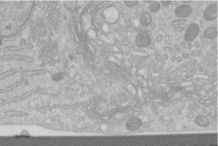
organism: Human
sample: Centriole in RPE cells